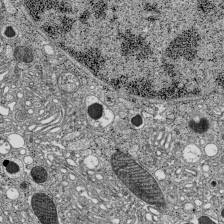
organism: C57BL Mouse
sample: Pancreatic islet